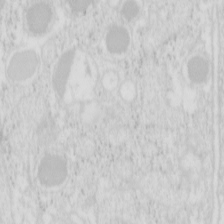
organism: Mouse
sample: Pancreas